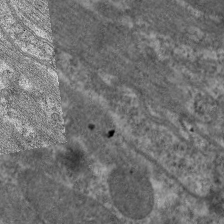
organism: C. elegans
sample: Pharynx